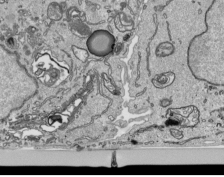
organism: Human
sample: Mitochondria in HCT116 cells